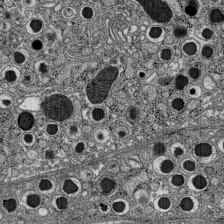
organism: C57BL Mouse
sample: Pancreatic islet